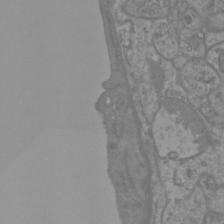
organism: Mouse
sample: Cortical neurons